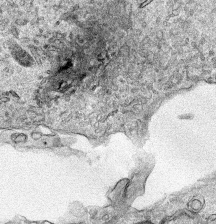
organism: Human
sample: Mitochondria in HCT116 cells